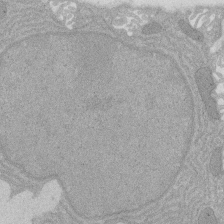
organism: Rat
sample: Salivary granule